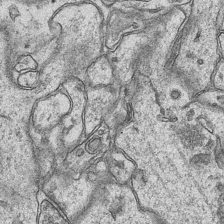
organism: Mouse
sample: CA1 Hippocampus